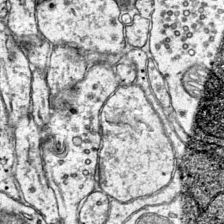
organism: Mouse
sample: Primary visual cortex